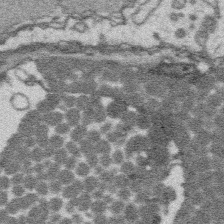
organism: Platynereis dumerilii